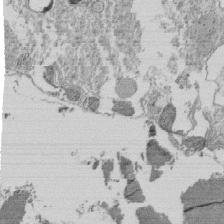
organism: Tetrahymena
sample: Cilia in tetrahymena